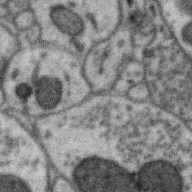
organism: Zebra finch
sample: Brain